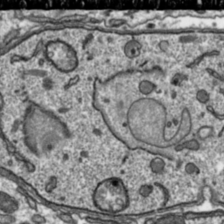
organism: Toxoplasma gondii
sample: Parasites in a vacuole inside a host cell